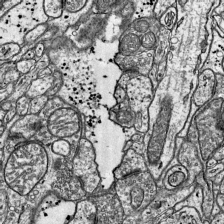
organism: Mouse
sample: Visual Cortex